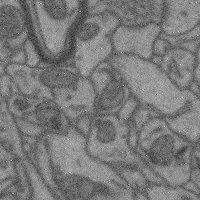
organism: Mouse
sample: Cerebral cortex